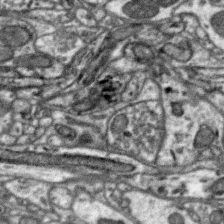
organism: Zebra finch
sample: Brain